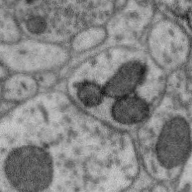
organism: Zebra finch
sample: Brain